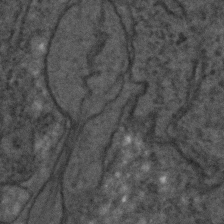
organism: C. elegans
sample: C. elegans embryo